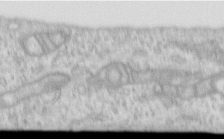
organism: Human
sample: Centriole in RPE cells